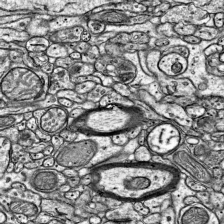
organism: Mouse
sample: Visual Cortex